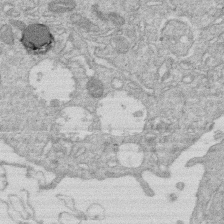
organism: Human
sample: Macrophage cells